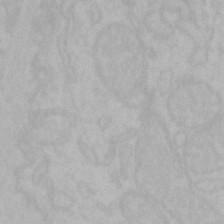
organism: Mouse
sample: Choroid plexus